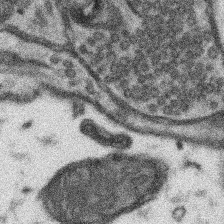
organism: Mouse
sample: Somatosensory cortex neuropil